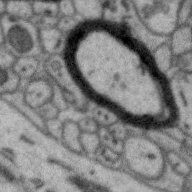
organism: Zebra finch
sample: Brain